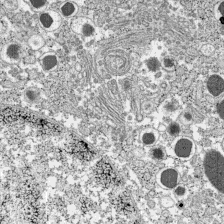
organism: C57BL Mouse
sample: Pancreatic islet